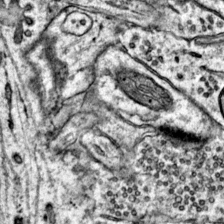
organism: Mouse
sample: Primary visual cortex